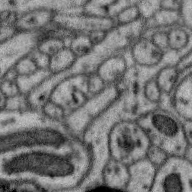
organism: Zebra finch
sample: Brain